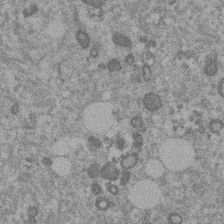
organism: Mouse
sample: Dividing mouse embryo 1 cell stage